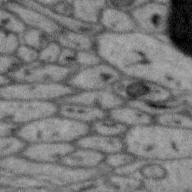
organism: Zebra finch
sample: Brain